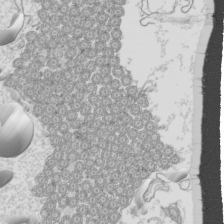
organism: Mouse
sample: Cilia; mouse epididymis